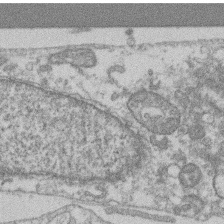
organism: Mouse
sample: T cell stromal cell synapse